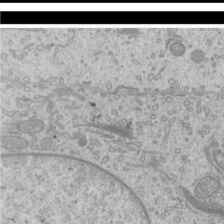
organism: Mouse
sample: Cilia; mouse epididymis